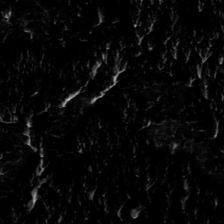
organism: Toxoplasma gondii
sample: Parasites in a vacuole inside a host cell